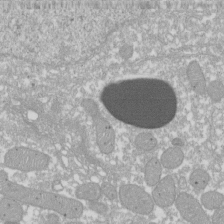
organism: Xenopus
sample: Cilia; centrioles in frog embryo cells